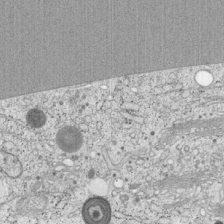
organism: African green monkey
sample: COS-7 cells